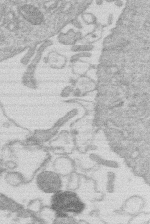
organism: Human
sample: Macrophage cells